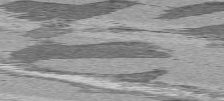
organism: C57BL Mouse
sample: Heart